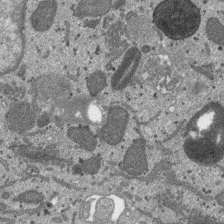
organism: Human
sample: Lung epithelial cells infected with SARS-CoV-2